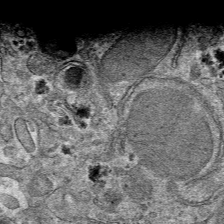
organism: Mouse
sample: Mouse hepatocytes